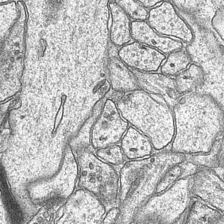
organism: Mouse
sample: CA1 Hippocampus